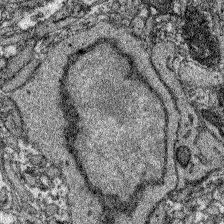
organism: Zebrafish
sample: Larval olfactory bulb